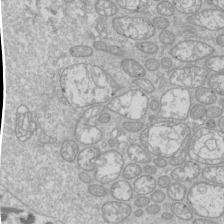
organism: Drosophila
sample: Cell division; meiosis; drosophila spermatocytes